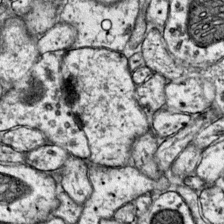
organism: Mouse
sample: Primary visual cortex